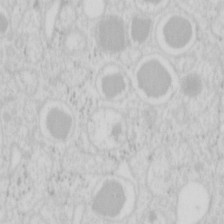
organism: Mouse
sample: Pancreas